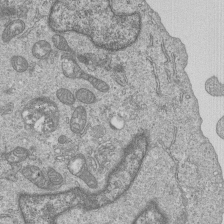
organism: Human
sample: MDA-MB-231 cells